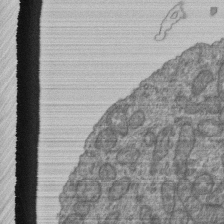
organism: Human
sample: Retinal organoid Rod and Cone cells